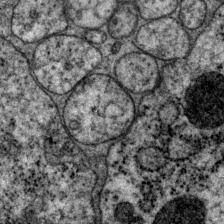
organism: P. pacificus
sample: Pharynx